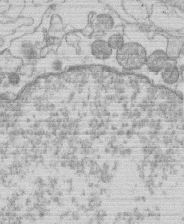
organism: Human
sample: Macrophage cells